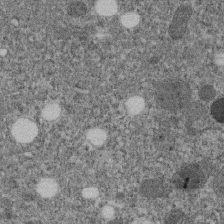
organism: C. elegans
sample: C. elegans embryo early stage